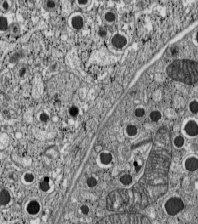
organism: C57BL Mouse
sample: Pancreatic islet